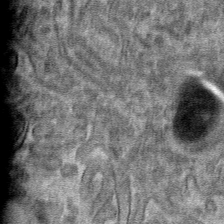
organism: Mouse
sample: Mouse hepatocytes